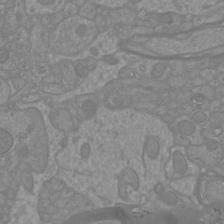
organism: Mouse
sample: Cortical neurons